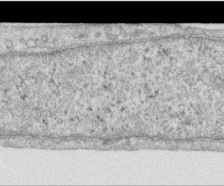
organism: Human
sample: Centriole in RPE cells